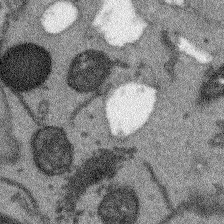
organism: Arabidopsis thaliana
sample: Root tip